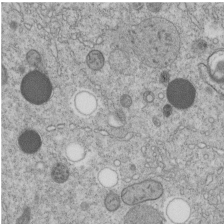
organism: C. elegans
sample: C. elegans embryo early stage